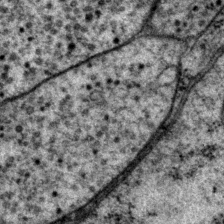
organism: P. pacificus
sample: Pharynx